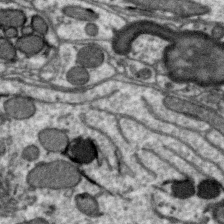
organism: Zebra finch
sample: Brain